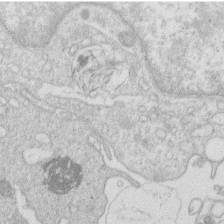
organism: Human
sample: Macrophage cells